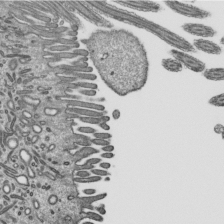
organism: Mouse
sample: Mouse epididymis efferent ductule cilia